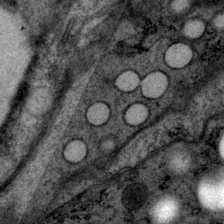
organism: P. pacificus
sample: Pharynx